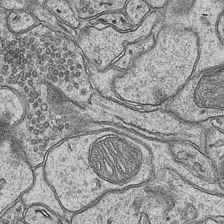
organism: Mouse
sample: CA1 Hippocampus